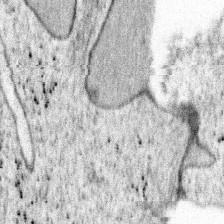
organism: Human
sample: HeLa cells